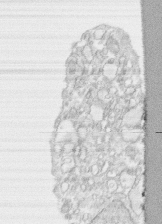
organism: Human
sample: CRL-1474